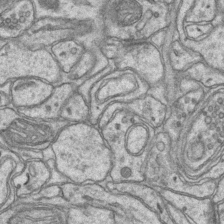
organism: Mouse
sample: CA1 Hippocampus